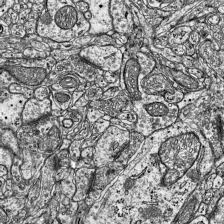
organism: Mouse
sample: Visual Cortex